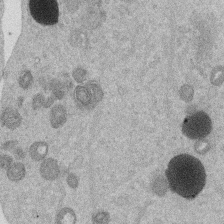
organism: Mouse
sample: Dividing mouse embryo 1 cell stage